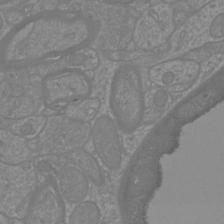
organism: Mouse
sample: Cortical neurons